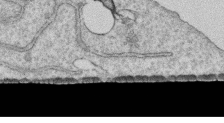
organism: Human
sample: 1205lu cells